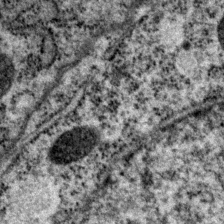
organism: P. pacificus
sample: Pharynx